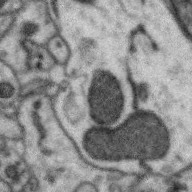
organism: Zebra finch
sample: Brain